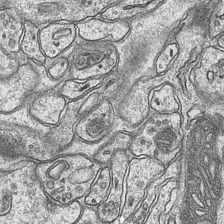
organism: Mouse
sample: CA1 Hippocampus